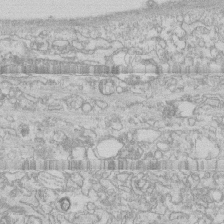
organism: Human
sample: CRL-1474